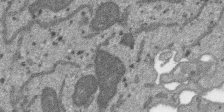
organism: Human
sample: Lung epithelial cells infected with SARS-CoV-2